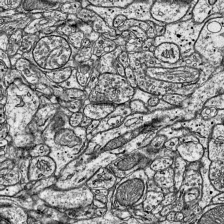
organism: Mouse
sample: Visual Cortex